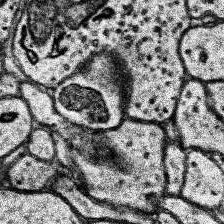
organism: Human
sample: Temporal Lobe